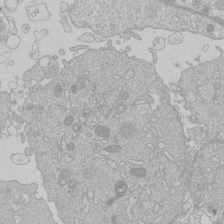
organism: Human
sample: Macrophage cells